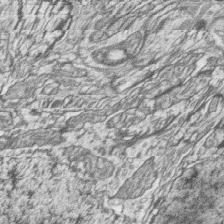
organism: Zebrafish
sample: synaptic ribbons in rod cells and cone cells